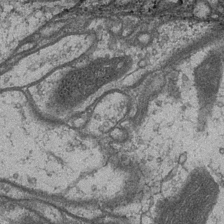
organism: Drosophila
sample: Optic medulla